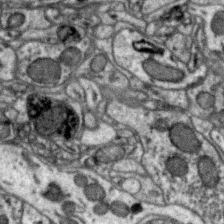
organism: Zebra finch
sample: Brain